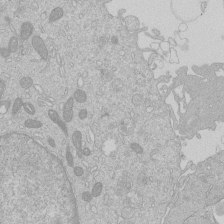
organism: Human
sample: Macrophage cells